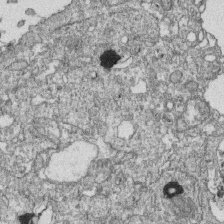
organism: Human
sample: HeLa cell HIV synapse